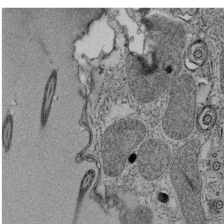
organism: Tetrahymena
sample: Cilia in tetrahymena